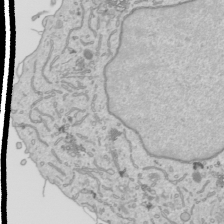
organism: Human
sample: Mitochondria in HCT116 cells